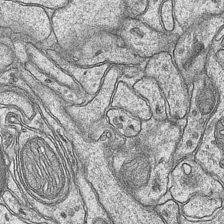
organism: Mouse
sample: CA1 Hippocampus